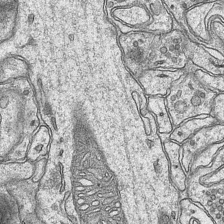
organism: Mouse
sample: CA1 Hippocampus